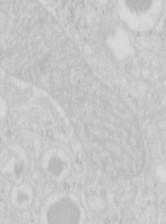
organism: Mouse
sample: Pancreas